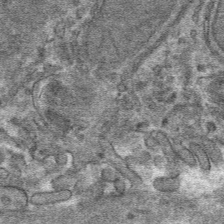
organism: Mouse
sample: Mouse hepatocytes